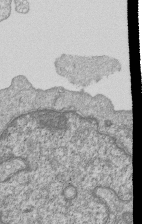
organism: Human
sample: MDA-MB-231 cells